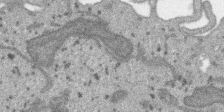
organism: Human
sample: Lung epithelial cells infected with SARS-CoV-2